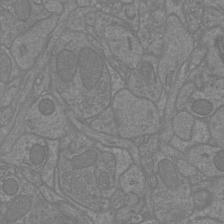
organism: Mouse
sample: Cortical neurons